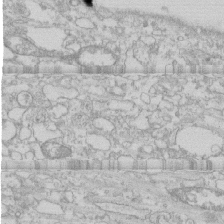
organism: Human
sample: CRL-1474